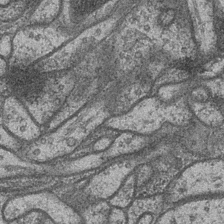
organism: Drosophila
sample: Optic medulla